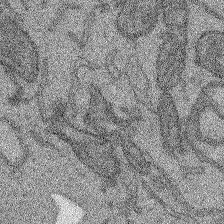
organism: Human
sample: HeLa cells